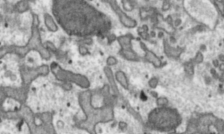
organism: Toxoplasma gondii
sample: Parasites in a vacuole inside a host cell